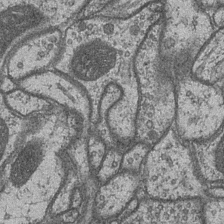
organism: Drosophila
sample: Optic medulla